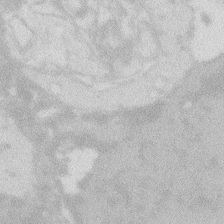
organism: Zebrafish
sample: Macrophage